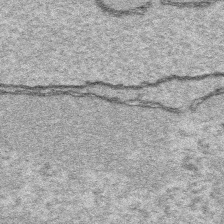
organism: Platynereis dumerilii